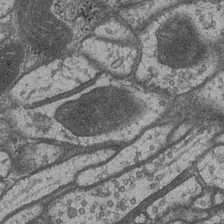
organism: Drosophila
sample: Optic medulla